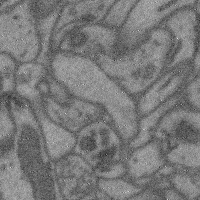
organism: Mouse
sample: Cerebral cortex